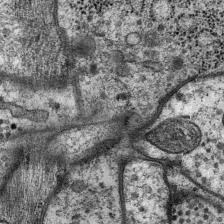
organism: P. pacificus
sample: Pharynx